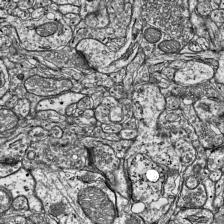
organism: Mouse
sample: Visual Cortex